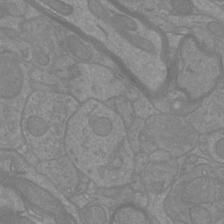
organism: Mouse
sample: Cortical neurons